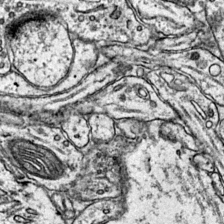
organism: Mouse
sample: Primary visual cortex